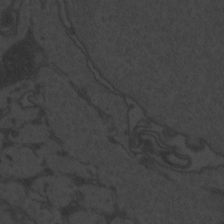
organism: Zebrafish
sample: Macrophage infected with Toxoplasma gondii